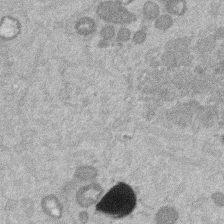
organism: Mouse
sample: Dividing mouse embryo 1 cell stage